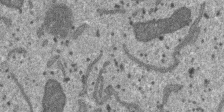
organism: Human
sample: Lung epithelial cells infected with SARS-CoV-2